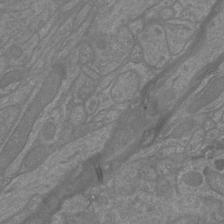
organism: Mouse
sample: Cortical neurons